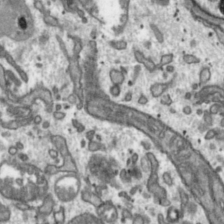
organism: Toxoplasma gondii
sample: Parasites in a vacuole inside a host cell